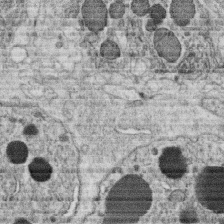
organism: C. elegans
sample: C. elegans oocyte; sperm cells